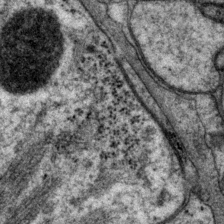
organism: P. pacificus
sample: Pharynx